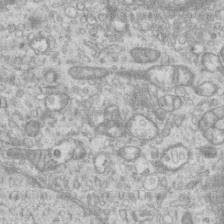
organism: Mouse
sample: Centriole in ependymal cells